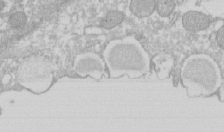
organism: Xenopus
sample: Cilia; centrioles in frog embryo cells